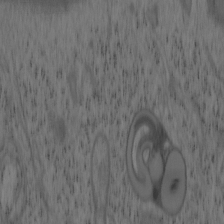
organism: Human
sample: HeLa cells